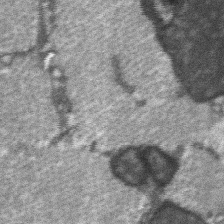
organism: C57BL Mouse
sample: Soleus